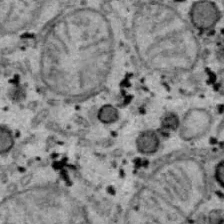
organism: Mouse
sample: Liver from an obese (ob/ob) mouse